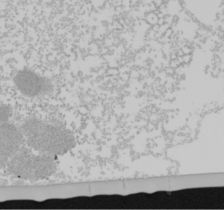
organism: Mouse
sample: Cancer cell death in ED-1 cells